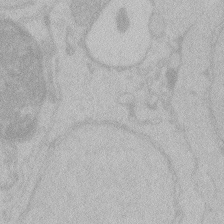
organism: Zebrafish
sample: Macrophage infected with Toxoplasma gondii